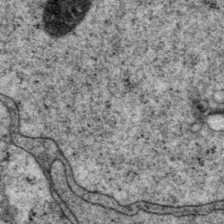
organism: P. pacificus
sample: Pharynx